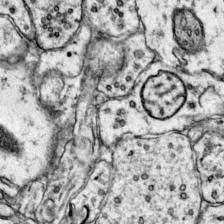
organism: Mouse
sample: Primary visual cortex